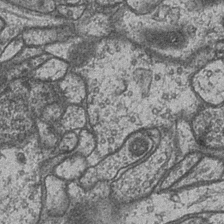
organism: Drosophila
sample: Optic medulla